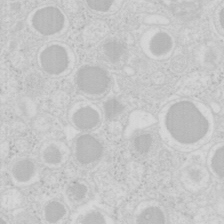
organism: Mouse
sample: Pancreas